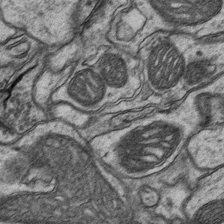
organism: Mouse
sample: CA1 Hippocampus